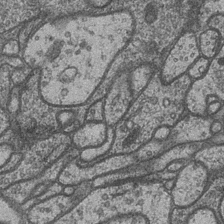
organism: Drosophila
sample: Optic medulla